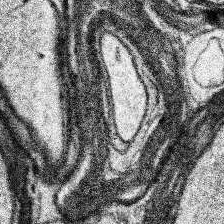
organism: Human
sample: Temporal Lobe